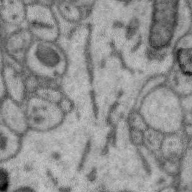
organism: Zebra finch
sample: Brain